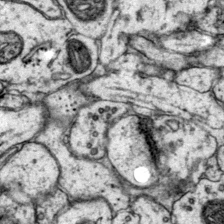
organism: Mouse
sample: Primary visual cortex